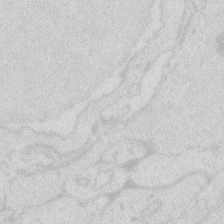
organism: Zebrafish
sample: Macrophage